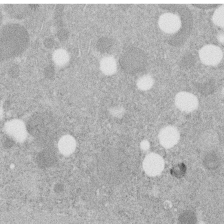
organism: C. elegans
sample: C. elegans embryo early stage